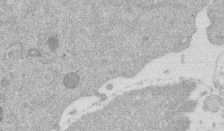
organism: Mouse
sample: Dividing mouse embryo 1 cell stage